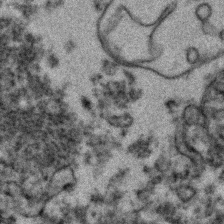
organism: Zebrafish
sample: Zebrafish embryo